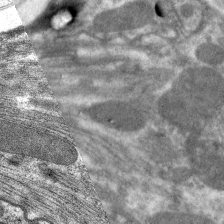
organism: C. elegans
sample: Pharynx